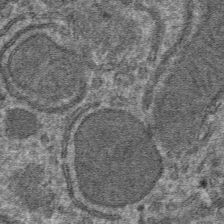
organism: Mouse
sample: Mouse hepatocytes